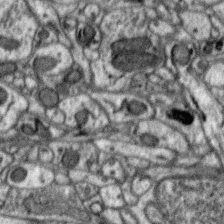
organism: Zebra finch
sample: Brain